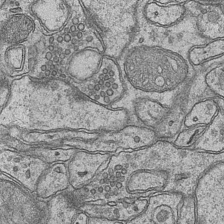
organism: Mouse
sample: CA1 Hippocampus